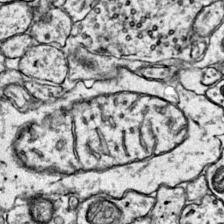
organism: Mouse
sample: Primary visual cortex